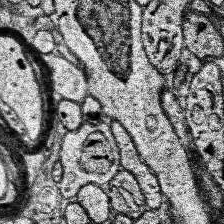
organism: Human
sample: Temporal Lobe